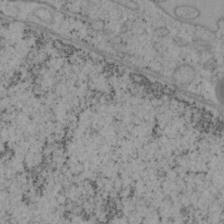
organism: Human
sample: HeLa cells